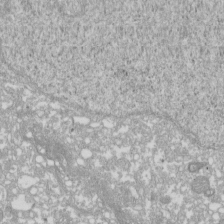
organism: Xenopus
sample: Cilia; centrioles in frog embryo cells